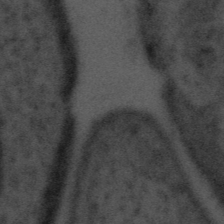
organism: Tuwongella immobilis